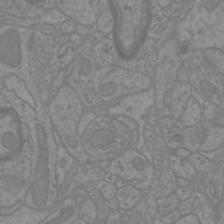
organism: Mouse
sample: Cortical neurons